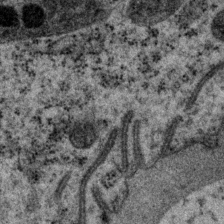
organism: P. pacificus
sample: Pharynx